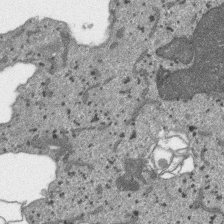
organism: Human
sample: Lung epithelial cells infected with SARS-CoV-2